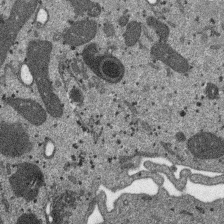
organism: Human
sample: Lung epithelial cells infected with SARS-CoV-2